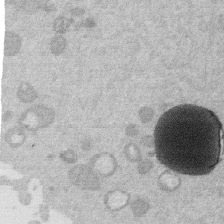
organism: Mouse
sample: Dividing mouse embryo 1 cell stage